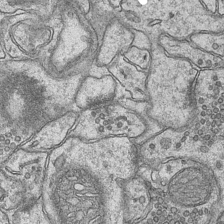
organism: Mouse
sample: CA1 Hippocampus